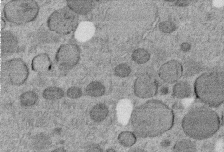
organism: C. elegans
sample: C. elegans embryo early stage